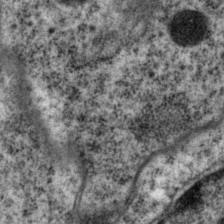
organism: P. pacificus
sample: Pharynx